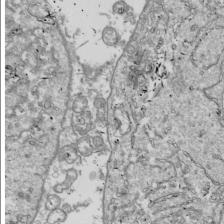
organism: Drosophila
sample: Cell division; meiosis; drosophila spermatocytes